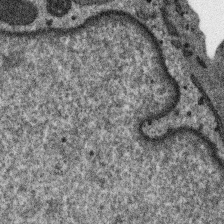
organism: Human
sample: Lung epithelial cells infected with SARS-CoV-2